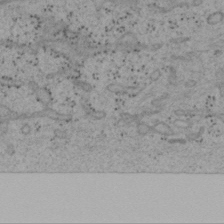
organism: Human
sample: HeLa cells